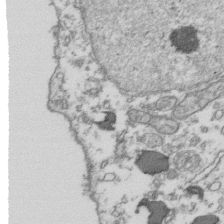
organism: Human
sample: Activated Jurkat CD4+ T cells